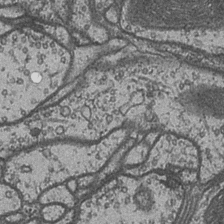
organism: Drosophila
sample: Optic medulla